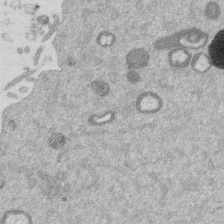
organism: Mouse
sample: Dividing mouse embryo 1 cell stage